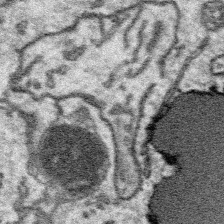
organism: Platynereis dumerilii